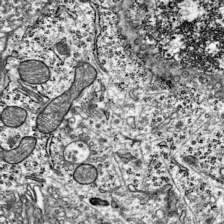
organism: Mouse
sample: Visual Cortex